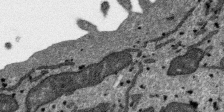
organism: Human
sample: Lung epithelial cells, uninfected (mock) control